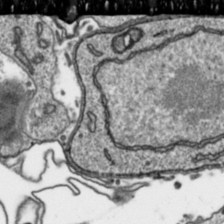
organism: Toxoplasma gondii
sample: Parasites in a vacuole inside a host cell